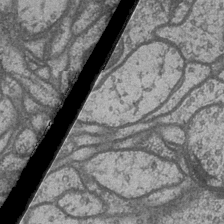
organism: Drosophila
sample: Optic medulla